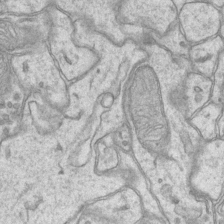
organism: Mouse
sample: CA1 Hippocampus